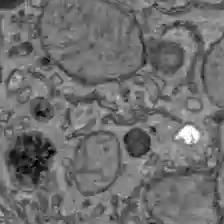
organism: C57BL Mouse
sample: Liver